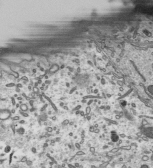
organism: Mouse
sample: Mouse epididymis efferent ductule cilia